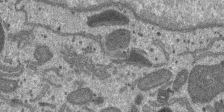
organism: Human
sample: Lung epithelial cells infected with SARS-CoV-2